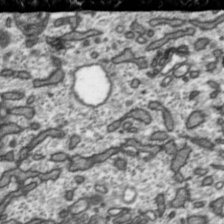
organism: Toxoplasma gondii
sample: Parasites in a vacuole inside a host cell